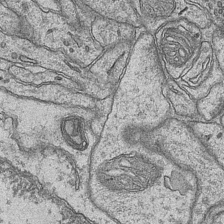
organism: Mouse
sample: CA1 Hippocampus